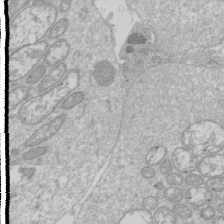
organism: Drosophila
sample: Cell division; meiosis; drosophila spermatocytes